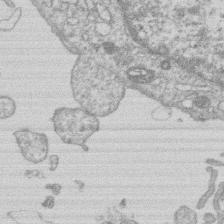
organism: Human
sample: Macrophage cells